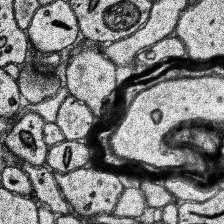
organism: Human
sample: Temporal Lobe